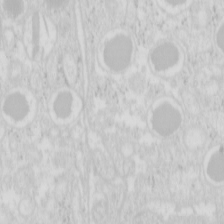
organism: Mouse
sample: Pancreas